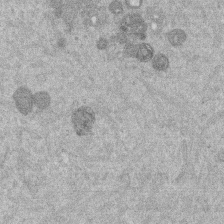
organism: Mouse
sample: Dividing mouse embryo 1 cell stage